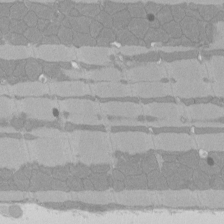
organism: Rat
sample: Left ventricle